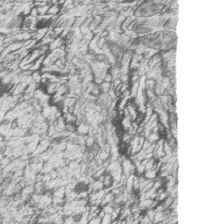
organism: Zebrafish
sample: synaptic ribbons in rod cells and cone cells